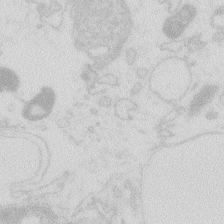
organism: Zebrafish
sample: Macrophage